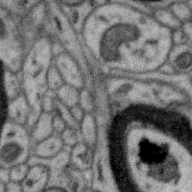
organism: Zebra finch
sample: Brain